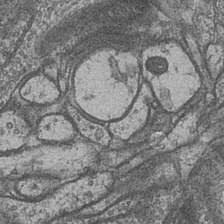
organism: Drosophila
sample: Optic medulla